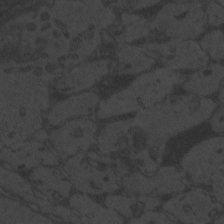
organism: Zebrafish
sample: Macrophage infected with Toxoplasma gondii